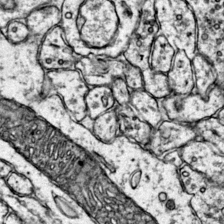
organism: Mouse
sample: Primary visual cortex